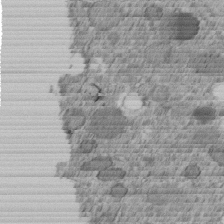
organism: C. elegans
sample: C. elegans embryo early stage